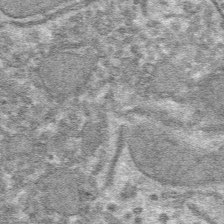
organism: Mouse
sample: Mouse hepatocytes